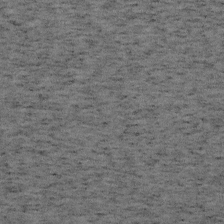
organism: Mouse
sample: OT-I killer T cells with ID8 ovarian cancer cells